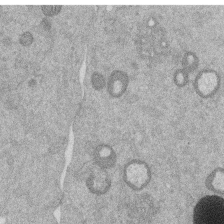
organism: Mouse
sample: Dividing mouse embryo 1 cell stage